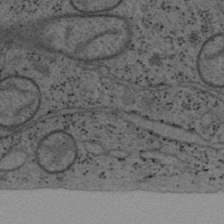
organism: Human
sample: HeLa cells